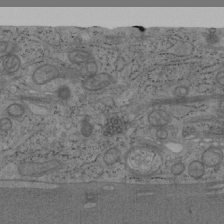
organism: Human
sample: HeLa cells